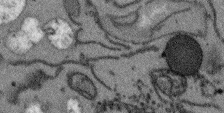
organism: Arabidopsis thaliana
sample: Root tip